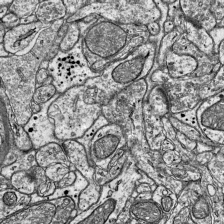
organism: Mouse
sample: Visual Cortex